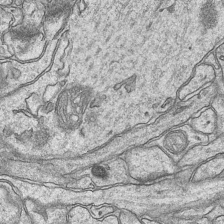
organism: Mouse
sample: CA1 Hippocampus